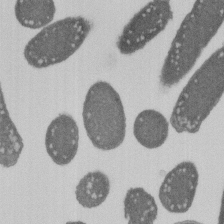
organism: E. coli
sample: Bacterial nucleoid